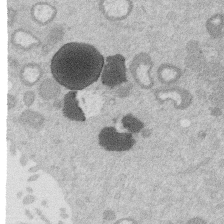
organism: Mouse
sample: Dividing mouse embryo 1 cell stage